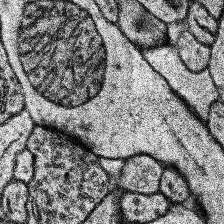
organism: Human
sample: Temporal Lobe